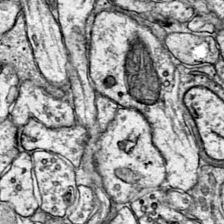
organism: Mouse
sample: Primary visual cortex